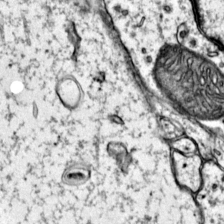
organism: Mouse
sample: Primary visual cortex